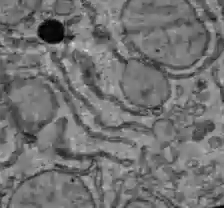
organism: C57BL Mouse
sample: Liver